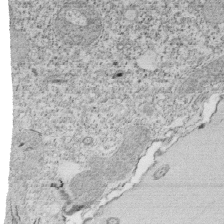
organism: Tetrahymena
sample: Cilia in tetrahymena